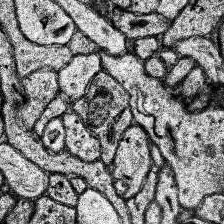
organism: Human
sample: Temporal Lobe